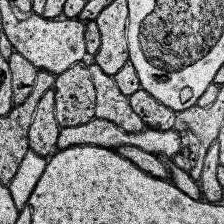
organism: Human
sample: Temporal Lobe